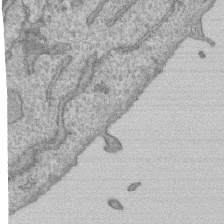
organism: Human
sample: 1205lu cells